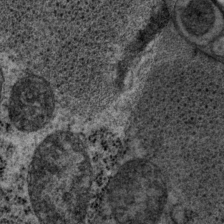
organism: P. pacificus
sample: Pharynx